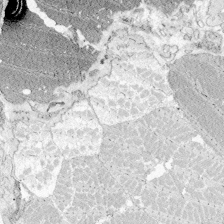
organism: Zebrafish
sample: Whole-Brain